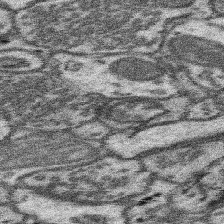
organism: Mouse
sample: Somatosensory cortex neuropil